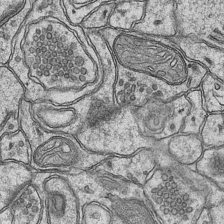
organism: Mouse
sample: CA1 Hippocampus